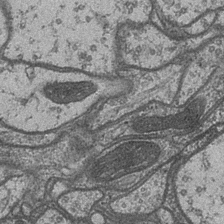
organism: Drosophila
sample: Optic medulla